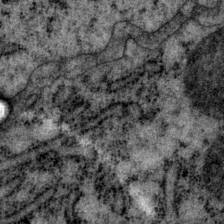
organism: P. pacificus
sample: Pharynx